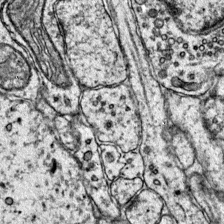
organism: Mouse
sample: Primary visual cortex